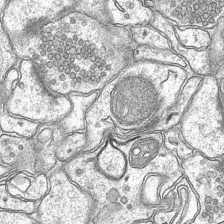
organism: Mouse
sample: CA1 Hippocampus